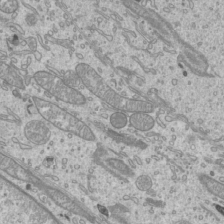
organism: Mouse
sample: Cilia; mouse epididymis